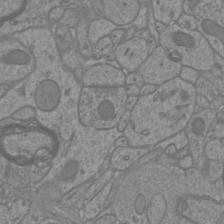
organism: Mouse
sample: Cortical neurons